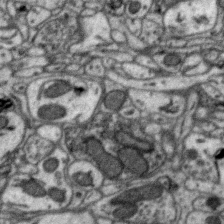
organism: Zebra finch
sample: Brain